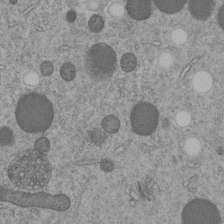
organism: C. elegans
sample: C. elegans embryo early stage